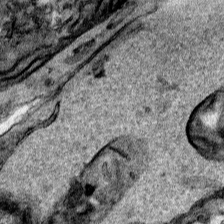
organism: Human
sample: Mitochondria in HCT116 cells